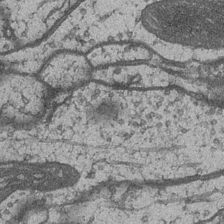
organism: Drosophila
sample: Optic medulla